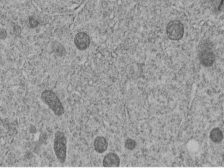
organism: C. elegans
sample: C. elegans embryo early stage